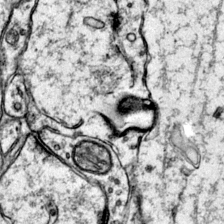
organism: Mouse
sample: Primary visual cortex